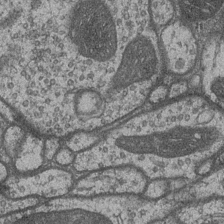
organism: Drosophila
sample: Optic medulla